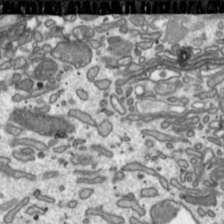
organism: Toxoplasma gondii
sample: Parasites in a vacuole inside a host cell